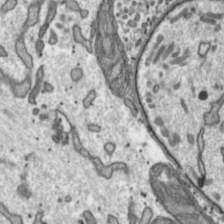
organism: Toxoplasma gondii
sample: Parasites in a vacuole inside a host cell